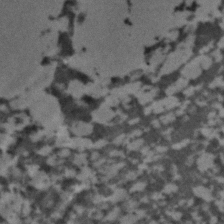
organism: C. elegans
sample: C. elegans embryo